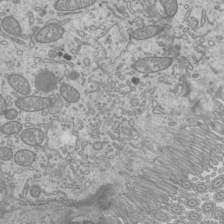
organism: Mouse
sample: Cilia; mouse epididymis